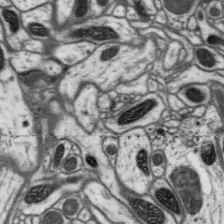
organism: Drosophila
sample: Protocerebral bridge